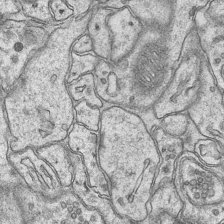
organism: Mouse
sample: CA1 Hippocampus